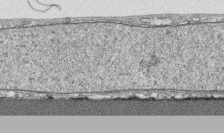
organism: Human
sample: CRL-1474